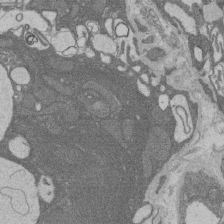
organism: Rat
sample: Salivary granule